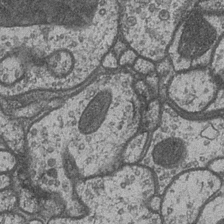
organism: Drosophila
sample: Optic medulla